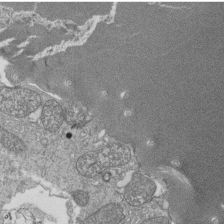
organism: Tetrahymena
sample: Cilia in tetrahymena